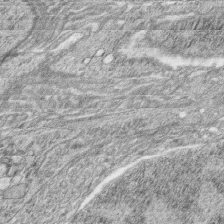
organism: Zebrafish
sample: synaptic ribbons in rod cells and cone cells